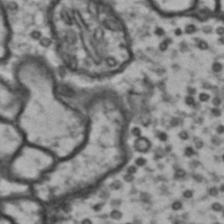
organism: Drosophila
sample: Brain